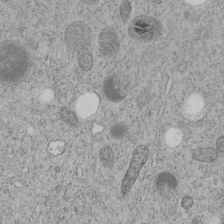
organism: C. elegans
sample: C. elegans embryo early stage